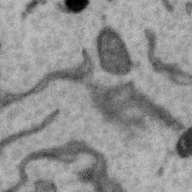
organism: Zebra finch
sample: Brain